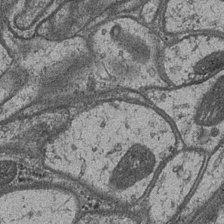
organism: Drosophila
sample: Optic medulla